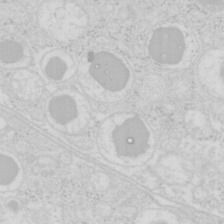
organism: Mouse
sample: Pancreas